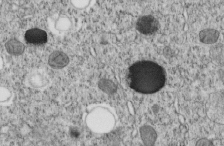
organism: C. elegans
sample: C. elegans embryo early stage